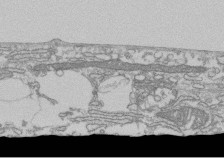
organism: Human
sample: Fibroblast cells